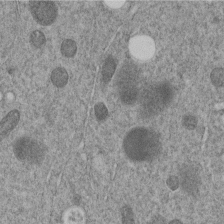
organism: C. elegans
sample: C. elegans embryo early stage